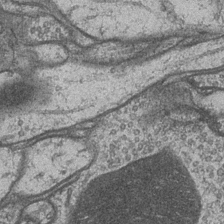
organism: Drosophila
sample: Optic medulla